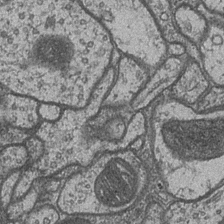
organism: Drosophila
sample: Optic medulla